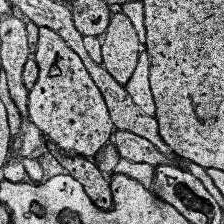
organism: Human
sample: Temporal Lobe